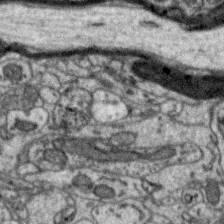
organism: Zebra finch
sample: Brain